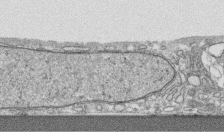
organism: Human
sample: CRL-1474